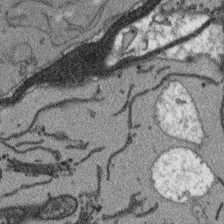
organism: Arabidopsis thaliana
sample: Root tip